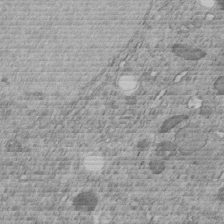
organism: C. elegans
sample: C. elegans embryo early stage